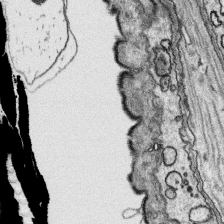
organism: Platynereis dumerilii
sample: Parapodia